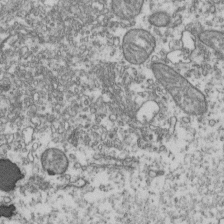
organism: Human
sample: Activated Jurkat CD4+ T cells